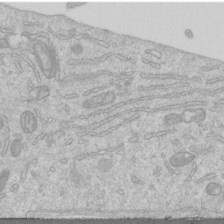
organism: Human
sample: Centriole in RPE cells